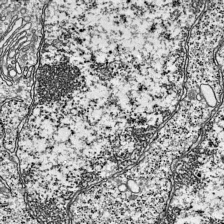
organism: Mouse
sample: Visual Cortex